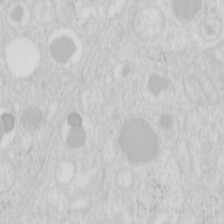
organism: Mouse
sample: Pancreas